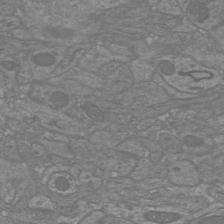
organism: Mouse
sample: Cortical neurons